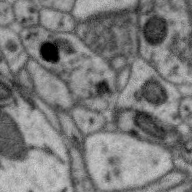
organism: Zebra finch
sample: Brain